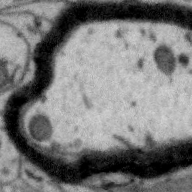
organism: Zebra finch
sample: Brain